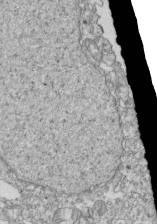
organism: Human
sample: HeLa cell HIV synapse